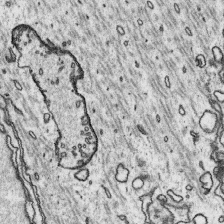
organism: Platynereis dumerilii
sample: Parapodia